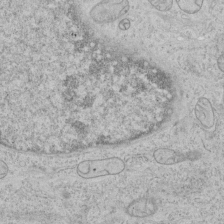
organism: Human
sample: Mitochondria in HCT116 cells